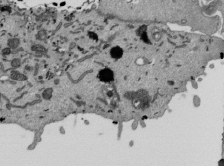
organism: Mouse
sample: ED-1 cell nuclei; centrioles